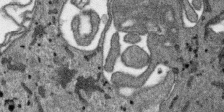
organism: Human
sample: Lung epithelial cells, uninfected (mock) control